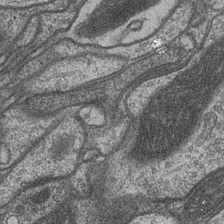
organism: Drosophila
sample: Optic medulla